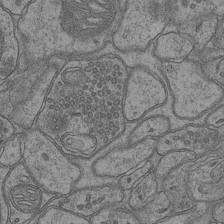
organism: Mouse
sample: CA1 Hippocampus